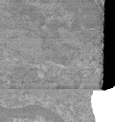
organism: Mouse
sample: Glomerulus